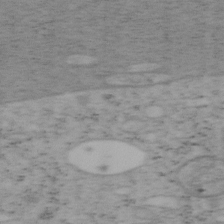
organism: Mouse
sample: OT-I killer T cells with ID8 ovarian cancer cells